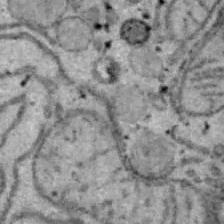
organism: Mouse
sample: Liver from an obese (ob/ob) mouse